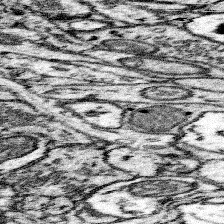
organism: Mouse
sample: Somatosensory cortex neuropil